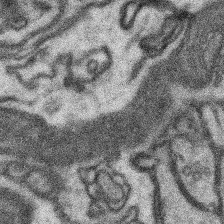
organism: Mouse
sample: Somatosensory cortex neuropil